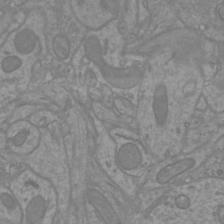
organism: Mouse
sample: Cortical neurons